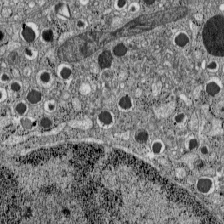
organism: C57BL Mouse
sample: Pancreatic islet